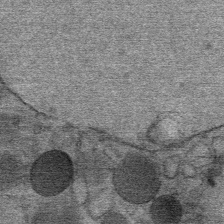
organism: Mouse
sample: Mouse Salivary gland